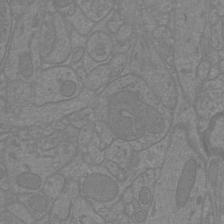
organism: Mouse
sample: Cortical neurons